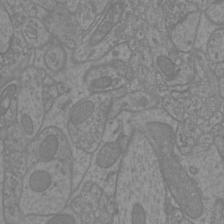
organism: Mouse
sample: Cortical neurons